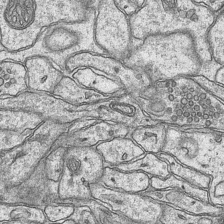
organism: Mouse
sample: CA1 Hippocampus